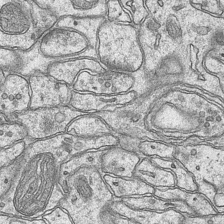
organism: Mouse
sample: CA1 Hippocampus